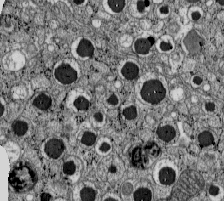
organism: C57BL Mouse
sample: Pancreatic islet